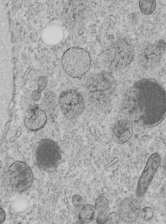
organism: C. elegans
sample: C. elegans embryo early stage